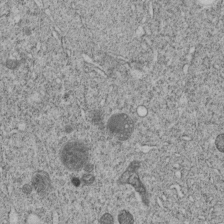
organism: C. elegans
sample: C. elegans embryo early stage